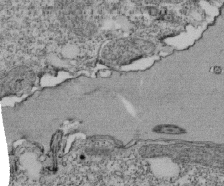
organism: Tetrahymena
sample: Cilia in tetrahymena